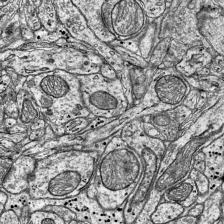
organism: Mouse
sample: Visual Cortex